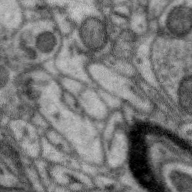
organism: Zebra finch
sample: Brain